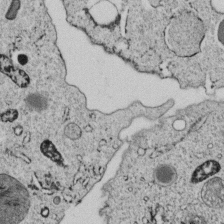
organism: C. elegans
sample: C. elegans embryo early stage